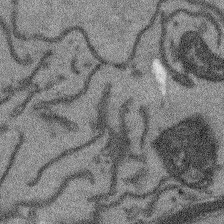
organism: Arabidopsis thaliana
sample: Root tip